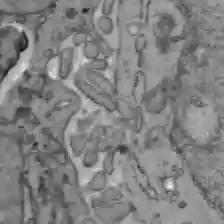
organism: C57BL Mouse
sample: Liver